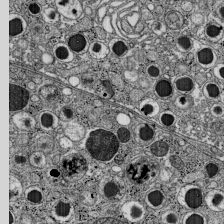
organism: C57BL Mouse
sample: Pancreatic islet